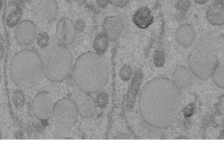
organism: C. elegans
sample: C. elegans embryo early stage